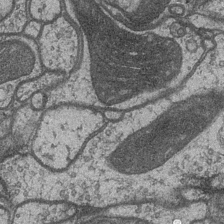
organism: Drosophila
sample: Optic medulla